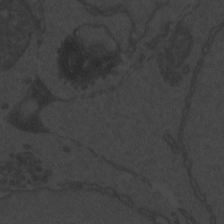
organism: Zebrafish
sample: Macrophage infected with Toxoplasma gondii